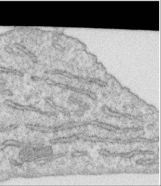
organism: Human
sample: Centriole in RPE cells